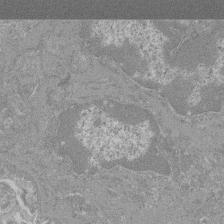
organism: Mouse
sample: Glomerulus